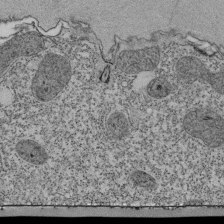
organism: Tetrahymena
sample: Cilia in tetrahymena